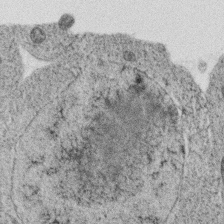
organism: C. elegans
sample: C. elegans oocyte; sperm cells